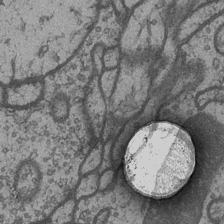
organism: Drosophila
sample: Optic medulla